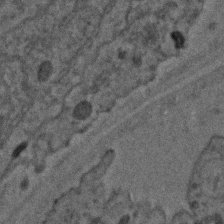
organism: C. elegans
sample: C. elegans embryo